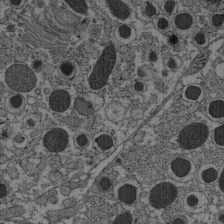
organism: C57BL Mouse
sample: Pancreatic islet